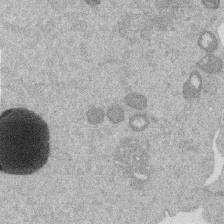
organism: Mouse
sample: Dividing mouse embryo 1 cell stage